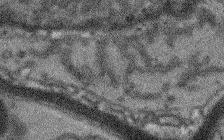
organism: Arabidopsis thaliana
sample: Root tip